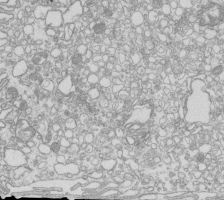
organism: Mouse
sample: Macrophages